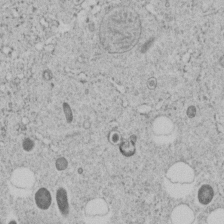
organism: C. elegans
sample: C. elegans embryo early stage